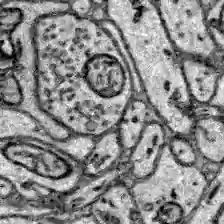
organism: Zebrafish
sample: Brain